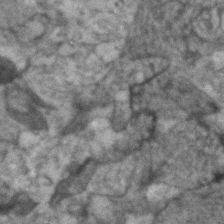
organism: Human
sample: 1205lu cells